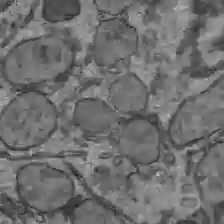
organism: C57BL Mouse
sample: Liver